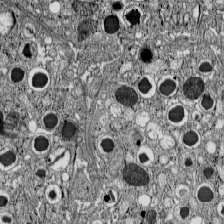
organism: C57BL Mouse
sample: Pancreatic islet